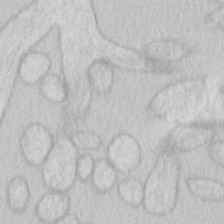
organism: Human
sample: HeLa cells